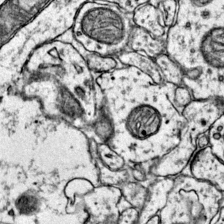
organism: Mouse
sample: Primary visual cortex